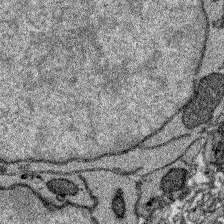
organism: Zebrafish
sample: Larval olfactory bulb